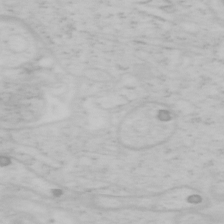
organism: Mouse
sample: OT-I killer T cells with ID8 ovarian cancer cells